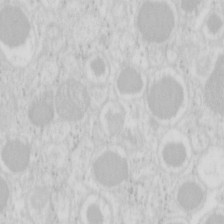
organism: Mouse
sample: Pancreas